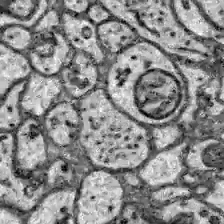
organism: Zebrafish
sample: Brain